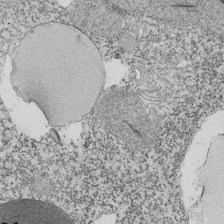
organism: Tetrahymena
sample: Cilia in tetrahymena